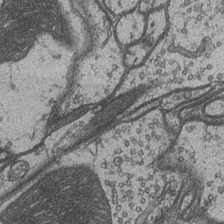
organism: Drosophila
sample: Optic medulla